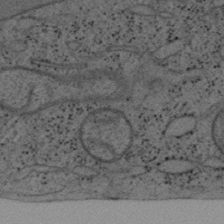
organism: Human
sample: HeLa cells